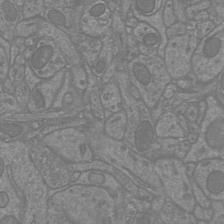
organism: Mouse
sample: Cortical neurons